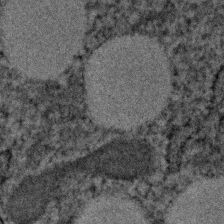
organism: Human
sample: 1205lu cells